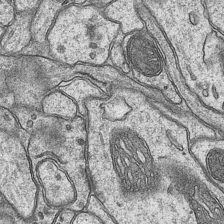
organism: Mouse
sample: CA1 Hippocampus